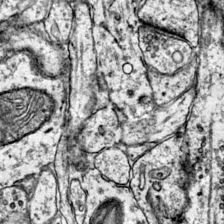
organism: Mouse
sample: Primary visual cortex